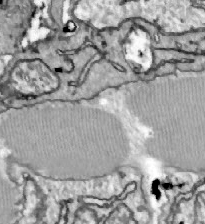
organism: Zebrafish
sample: Actinotrichia fibers